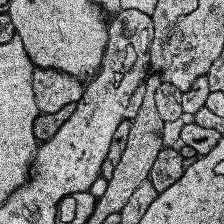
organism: Human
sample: Temporal Lobe